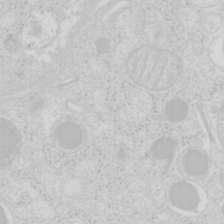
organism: Mouse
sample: Pancreas